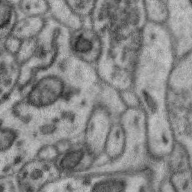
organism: Zebra finch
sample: Brain